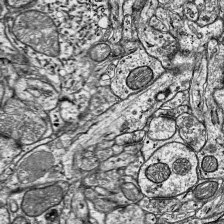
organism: Mouse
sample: Visual Cortex